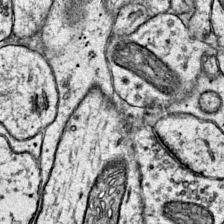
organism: Mouse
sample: Primary visual cortex